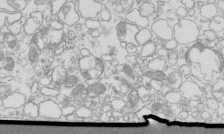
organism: Mouse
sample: Macrophages